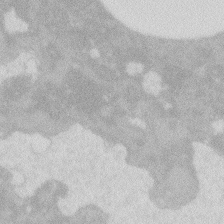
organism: Zebrafish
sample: Macrophage